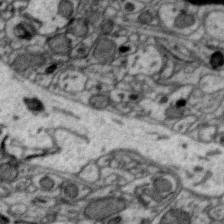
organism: Zebra finch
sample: Brain